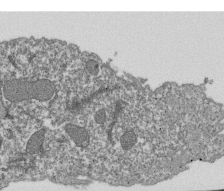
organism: Dictyostelium discoideum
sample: Dictyostelium multivesicular bodies